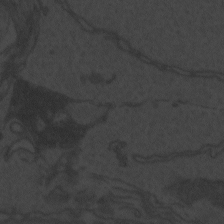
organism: Zebrafish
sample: Macrophage infected with Toxoplasma gondii